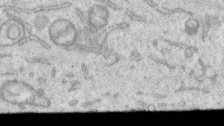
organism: Human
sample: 1205lu cells